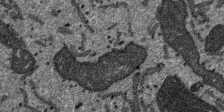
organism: Human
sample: Lung epithelial cells infected with SARS-CoV-2